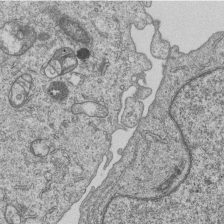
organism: Human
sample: MDA-MB-231 cells